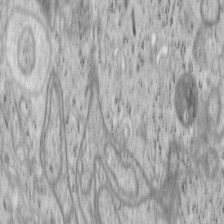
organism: Human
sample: HeLa cells